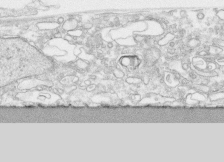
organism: Human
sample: CRL-1474